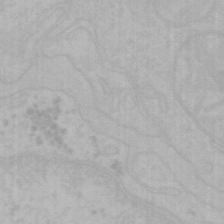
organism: Mouse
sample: Choroid plexus